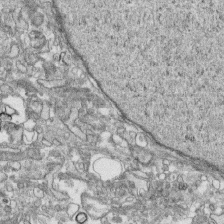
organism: Human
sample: CRL-1474